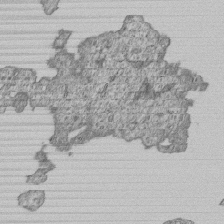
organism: Human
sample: MDA-MB-231 cells